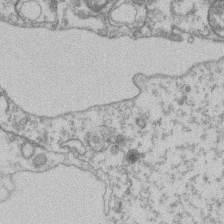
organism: Mouse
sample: T cell stromal cell synapse